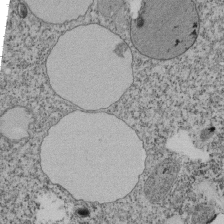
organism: Tetrahymena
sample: Cilia in tetrahymena